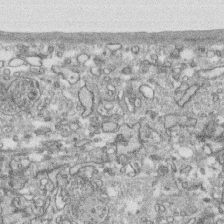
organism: Human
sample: CRL-1474